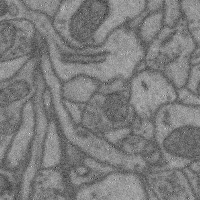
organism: Mouse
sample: Cerebral cortex